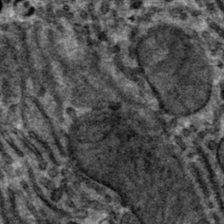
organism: Mouse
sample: Mouse hepatocytes